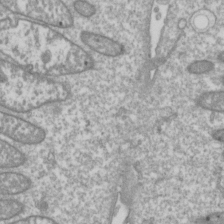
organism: Drosophila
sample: Cell division; meiosis; drosophila spermatocytes